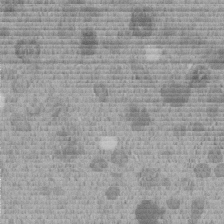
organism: C. elegans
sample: C. elegans embryo early stage